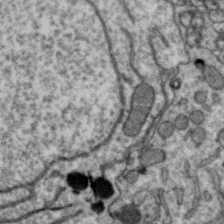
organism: Zebra finch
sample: Brain